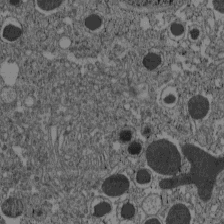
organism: C57BL Mouse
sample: Pancreatic islet